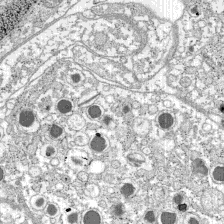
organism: C57BL Mouse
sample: Pancreatic islet